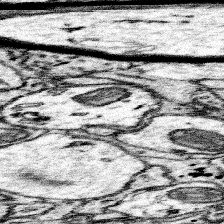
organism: Mouse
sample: Somatosensory cortex neuropil